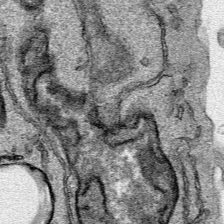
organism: Human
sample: Mitochondria in HCT116 cells